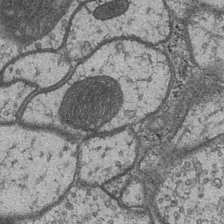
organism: Drosophila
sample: Optic medulla